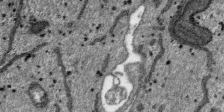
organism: Human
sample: Lung epithelial cells, uninfected (mock) control